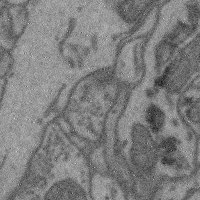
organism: Mouse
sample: Cerebral cortex